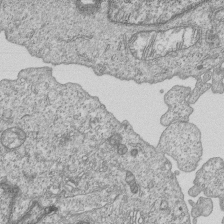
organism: Human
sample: MDA-MB-231 cells